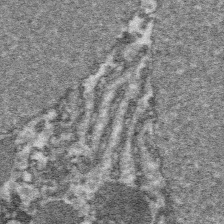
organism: Platynereis dumerilii